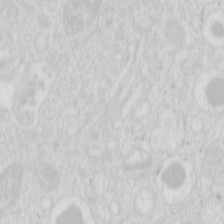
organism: Mouse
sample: Pancreas